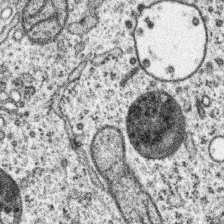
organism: Human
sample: HeLa cells